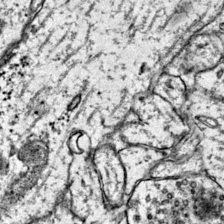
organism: Mouse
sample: Primary visual cortex